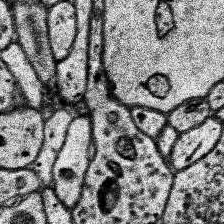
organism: Human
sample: Temporal Lobe